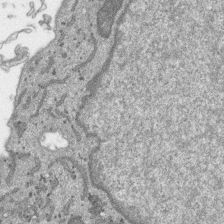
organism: Human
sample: Lung epithelial cells infected with SARS-CoV-2